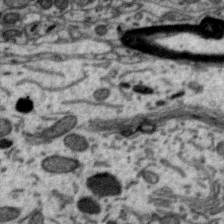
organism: Zebra finch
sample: Brain